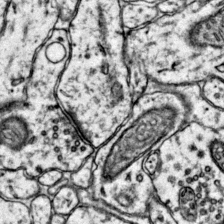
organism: Mouse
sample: Primary visual cortex